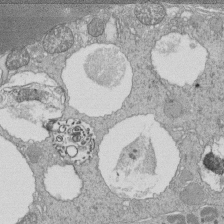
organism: Tetrahymena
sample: Cilia in tetrahymena